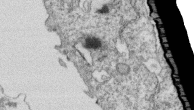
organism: Human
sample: HeLa cell HIV synapse